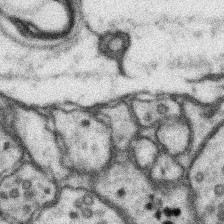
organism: Mouse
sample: Somatosensory cortex neuropil